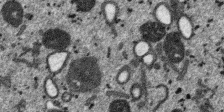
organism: Human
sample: Lung epithelial cells infected with SARS-CoV-2